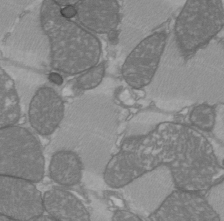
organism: C57BL Mouse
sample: Heart